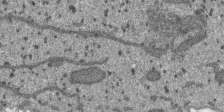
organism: Human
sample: Lung epithelial cells infected with SARS-CoV-2